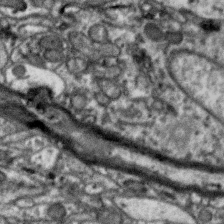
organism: Zebra finch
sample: Brain